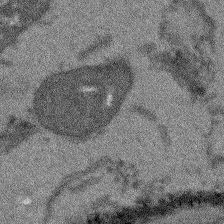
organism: Arabidopsis thaliana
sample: Root tip